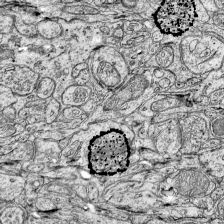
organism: Mouse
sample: Visual Cortex